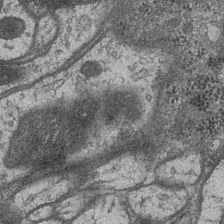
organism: Drosophila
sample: Optic medulla